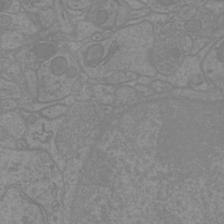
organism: Mouse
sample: Cortical neurons